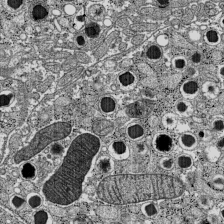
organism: C57BL Mouse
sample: Pancreatic islet